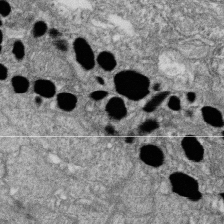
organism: Zebrafish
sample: Cilia; retinal pigment epithelium